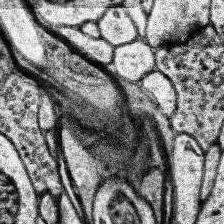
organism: Human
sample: Temporal Lobe